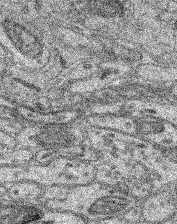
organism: Mouse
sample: Retina